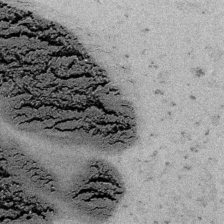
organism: Embia sp.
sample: Silk gland